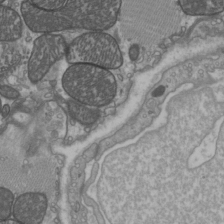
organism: C57BL Mouse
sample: Heart